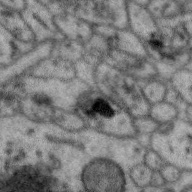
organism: Zebra finch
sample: Brain